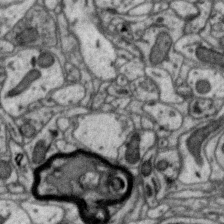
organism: Zebra finch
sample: Brain